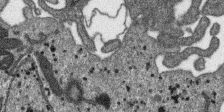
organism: Human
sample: Lung epithelial cells infected with SARS-CoV-2